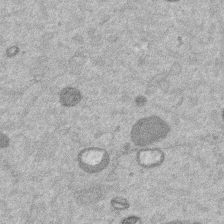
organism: Mouse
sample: Dividing mouse embryo 1 cell stage